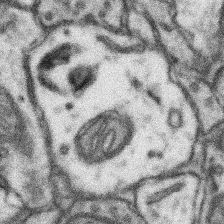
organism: Mouse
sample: Somatosensory cortex neuropil